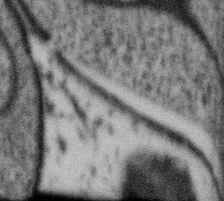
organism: Gemmata obscuriglobus